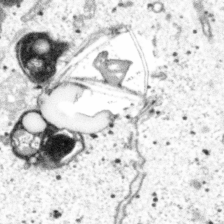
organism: Human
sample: HeLa cells